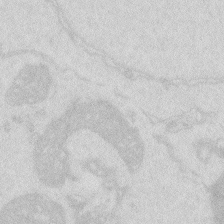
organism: Zebrafish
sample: Macrophage